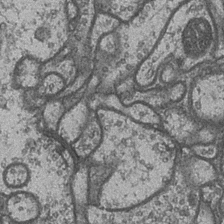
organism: Drosophila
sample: Optic medulla